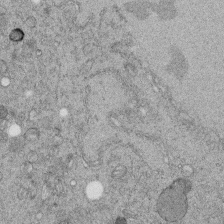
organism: C. elegans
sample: C. elegans embryo early stage